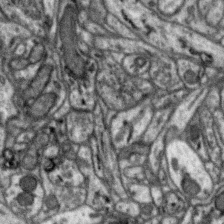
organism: Zebra finch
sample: Brain